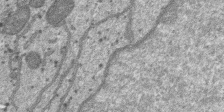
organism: Human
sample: Lung epithelial cells infected with SARS-CoV-2